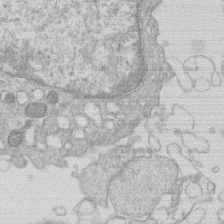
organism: Human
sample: Macrophage cells